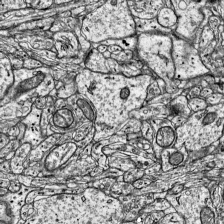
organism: Mouse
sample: Visual Cortex